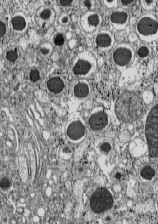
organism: C57BL Mouse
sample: Pancreatic islet